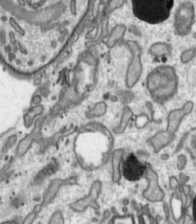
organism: Toxoplasma gondii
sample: Parasites in a vacuole inside a host cell